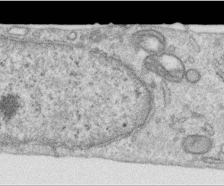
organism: Human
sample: Centriole in RPE cells